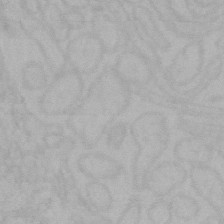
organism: Mouse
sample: Choroid plexus